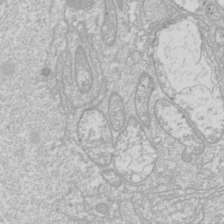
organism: Drosophila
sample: Cell division; meiosis; drosophila spermatocytes